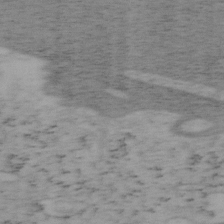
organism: Mouse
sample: OT-I killer T cells with ID8 ovarian cancer cells